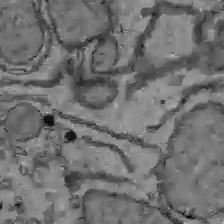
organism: C57BL Mouse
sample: Liver